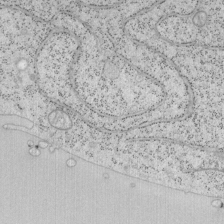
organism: Mouse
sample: OT-I killer T cells with ID8 ovarian cancer cells